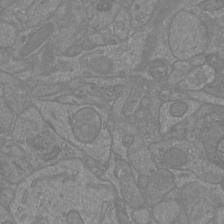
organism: Mouse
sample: Cortical neurons